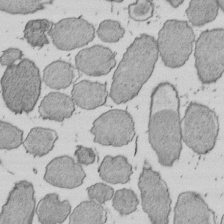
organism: E. coli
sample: Bacterial nucleoid